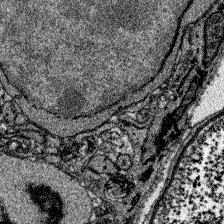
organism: Zebrafish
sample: Larval olfactory bulb